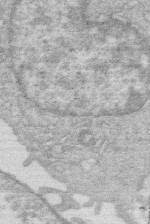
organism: Human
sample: Macrophage cells